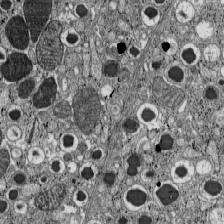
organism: C57BL Mouse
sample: Pancreatic islet